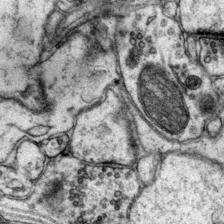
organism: Mouse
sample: Primary visual cortex